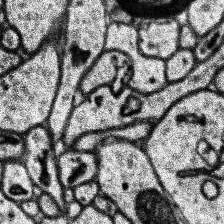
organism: Human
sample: Temporal Lobe